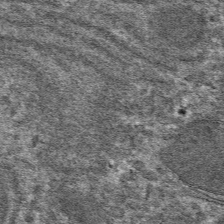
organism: Mouse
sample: Mouse hepatocytes